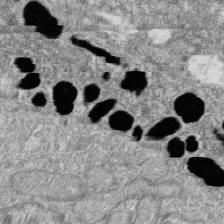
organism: Zebrafish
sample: Cilia; retinal pigment epithelium